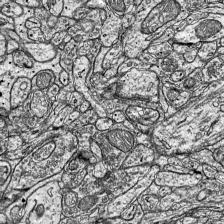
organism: Mouse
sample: Visual Cortex